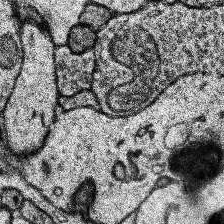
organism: Human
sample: Temporal Lobe